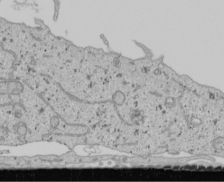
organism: Human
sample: Mitochondria in U2OS cells